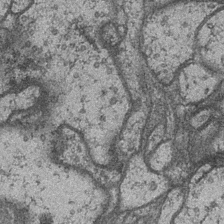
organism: Drosophila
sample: Optic medulla